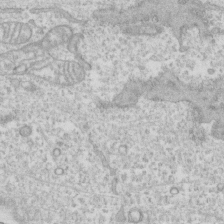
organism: Human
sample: CRL-1474